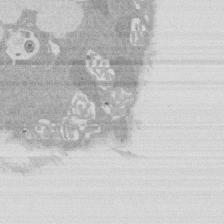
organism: Rat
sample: Salivary granule